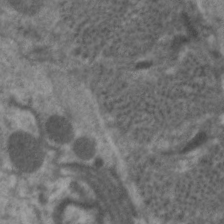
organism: C. elegans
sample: Pharynx